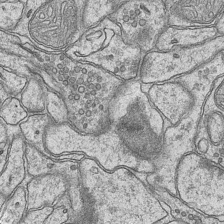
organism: Mouse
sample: CA1 Hippocampus